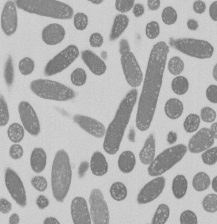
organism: E. coli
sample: Bacterial nucleoid